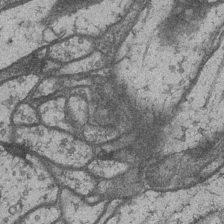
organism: Drosophila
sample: Optic medulla